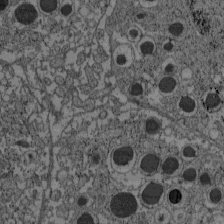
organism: C57BL Mouse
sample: Pancreatic islet